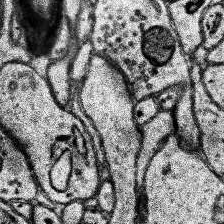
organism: Human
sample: Temporal Lobe